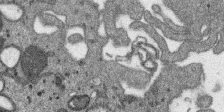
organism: Human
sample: Lung epithelial cells infected with SARS-CoV-2